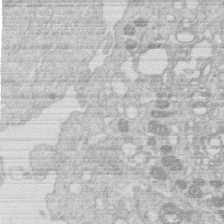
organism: Human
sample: Macrophage cells